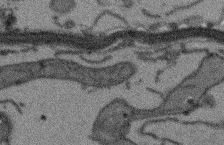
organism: Arabidopsis thaliana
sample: Root tip